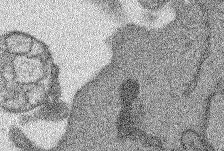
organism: Human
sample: HeLa cells